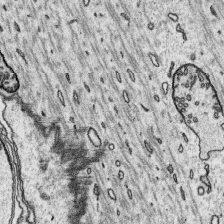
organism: Platynereis dumerilii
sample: Parapodia